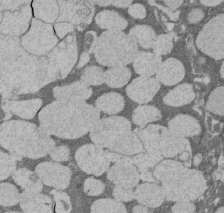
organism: Rat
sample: Salivary granule